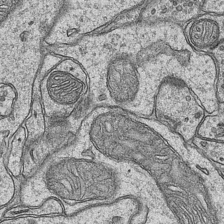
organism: Mouse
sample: CA1 Hippocampus